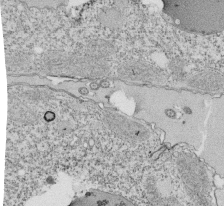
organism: Tetrahymena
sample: Cilia in tetrahymena